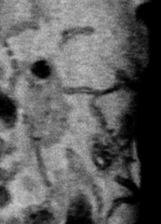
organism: Human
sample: Mitochondria in HCT116 cells